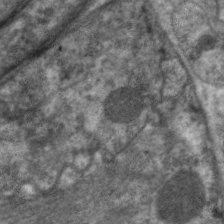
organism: C. elegans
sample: Pharynx